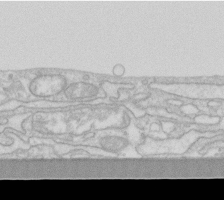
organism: Human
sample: Fibroblast cells